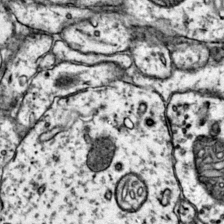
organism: Mouse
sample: Primary visual cortex